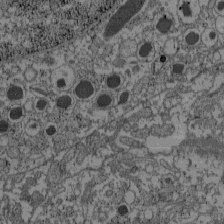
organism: C57BL Mouse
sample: Pancreatic islet